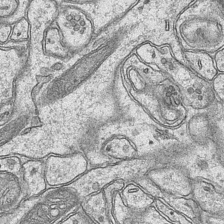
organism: Mouse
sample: CA1 Hippocampus